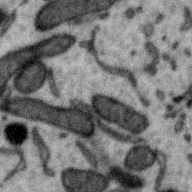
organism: Zebra finch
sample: Brain